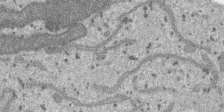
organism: Human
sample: Lung epithelial cells infected with SARS-CoV-2